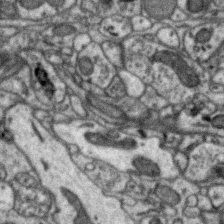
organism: Zebra finch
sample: Brain